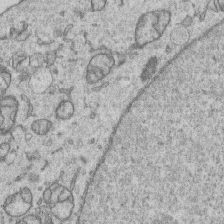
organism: Human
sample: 1205lu cells